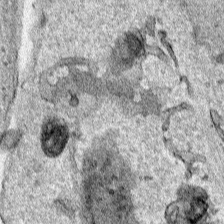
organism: Human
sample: Mitochondria in HCT116 cells